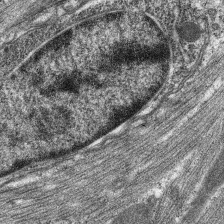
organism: C. elegans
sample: Pharynx